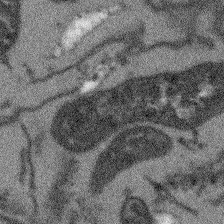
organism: Arabidopsis thaliana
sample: Root tip